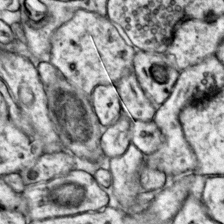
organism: Mouse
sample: Primary visual cortex